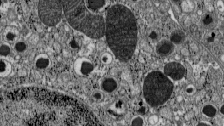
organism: C57BL Mouse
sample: Pancreatic islet